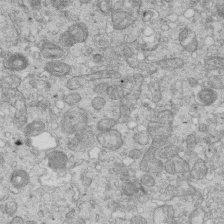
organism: Mouse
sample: Multiciliated cells